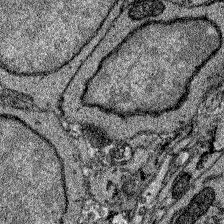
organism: Zebrafish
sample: Larval olfactory bulb